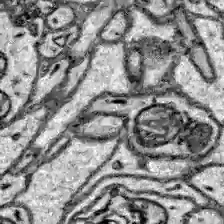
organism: Zebrafish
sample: Brain